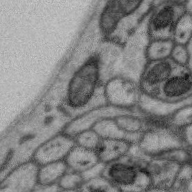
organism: Zebra finch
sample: Brain